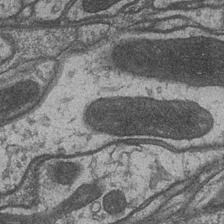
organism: Drosophila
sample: Optic medulla